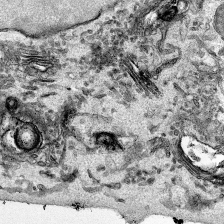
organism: Mouse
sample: Cancer cell death in ED-1 cells